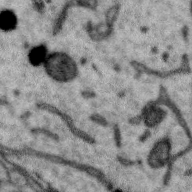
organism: Zebra finch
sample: Brain